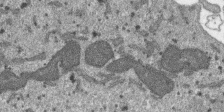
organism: Human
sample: Lung epithelial cells infected with SARS-CoV-2